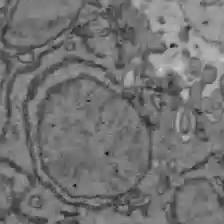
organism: C57BL Mouse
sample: Liver